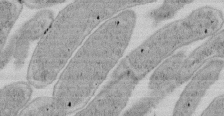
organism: E. coli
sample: Bacterial nucleoid